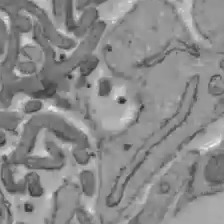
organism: C57BL Mouse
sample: Liver